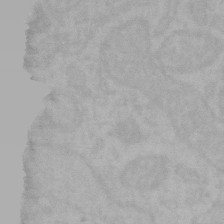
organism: Mouse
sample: Choroid plexus